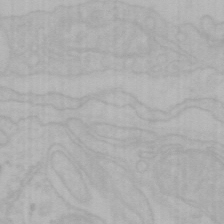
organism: Mouse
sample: Choroid plexus